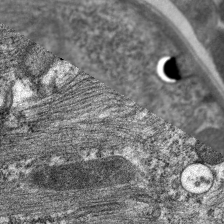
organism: C. elegans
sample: Pharynx